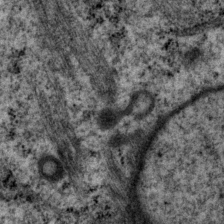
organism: P. pacificus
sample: Pharynx